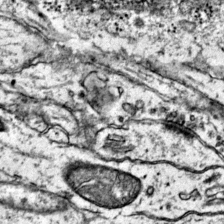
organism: Mouse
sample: Primary visual cortex